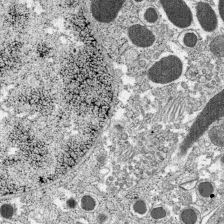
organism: C57BL Mouse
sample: Pancreatic islet